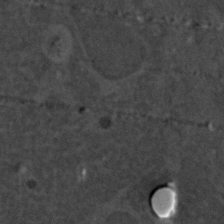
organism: C. elegans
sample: C. elegans embryo